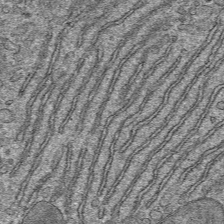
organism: Mouse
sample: Mouse hepatocytes